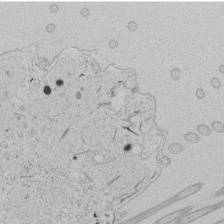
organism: Tetrahymena